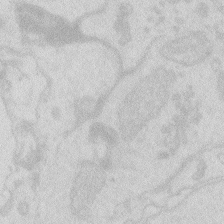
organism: Zebrafish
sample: Macrophage